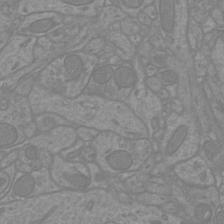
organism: Mouse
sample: Cortical neurons